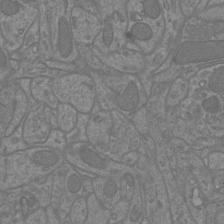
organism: Mouse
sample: Cortical neurons